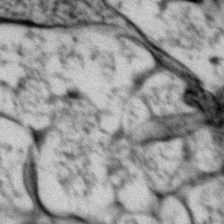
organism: Zebrafish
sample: Zebrafish embryo